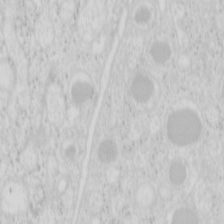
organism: Mouse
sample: Pancreas